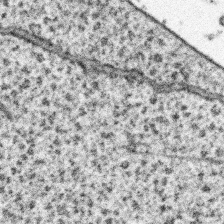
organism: Human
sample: HeLa cells